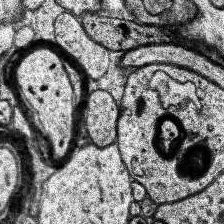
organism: Human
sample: Temporal Lobe